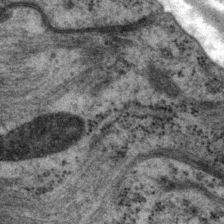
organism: P. pacificus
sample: Pharynx